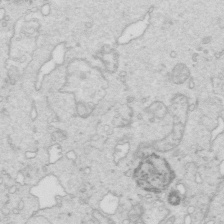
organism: Mouse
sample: Multiciliated cells